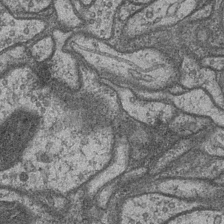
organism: Drosophila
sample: Optic medulla